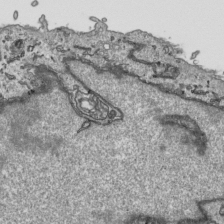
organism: Human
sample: Mitochondria in HCT116 cells